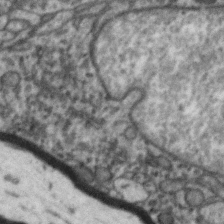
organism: Zebra finch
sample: Brain